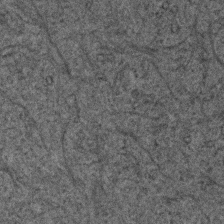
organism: Human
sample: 1205lu cells